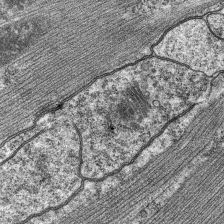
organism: C. elegans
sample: Pharynx